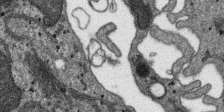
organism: Human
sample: Lung epithelial cells infected with SARS-CoV-2